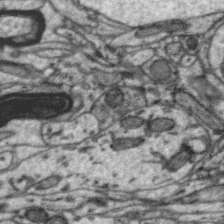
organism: Zebra finch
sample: Brain